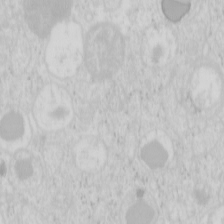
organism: Mouse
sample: Pancreas